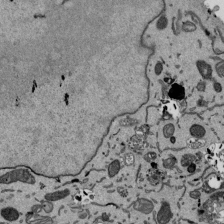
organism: Mouse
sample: ED-1 cell nuclei; centrioles